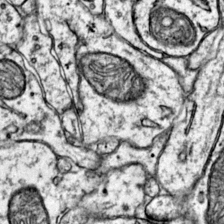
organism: Mouse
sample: Primary visual cortex